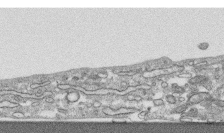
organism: Human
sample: CRL-1474